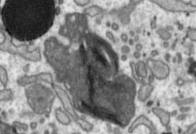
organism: Toxoplasma gondii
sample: Parasites in a vacuole inside a host cell